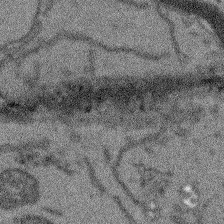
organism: Arabidopsis thaliana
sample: Root tip